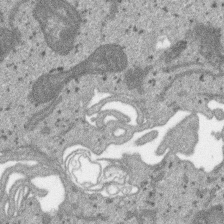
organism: Human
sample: Lung epithelial cells infected with SARS-CoV-2